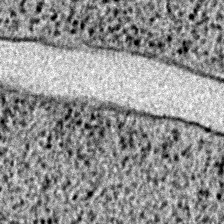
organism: E. coli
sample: E. Coli Bacteria